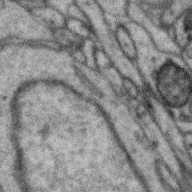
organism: Zebra finch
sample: Brain